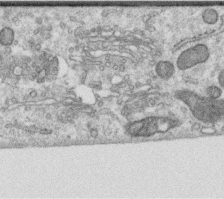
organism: Human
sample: Centriole in RPE cells